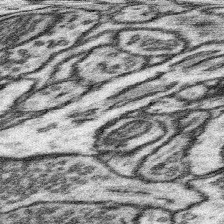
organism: Mouse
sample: Somatosensory cortex neuropil